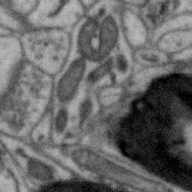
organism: Zebra finch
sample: Brain